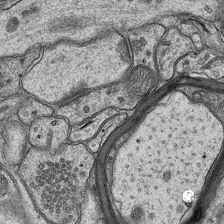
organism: Mouse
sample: CA1 Hippocampus